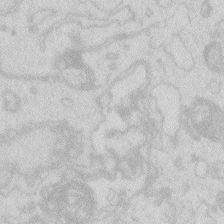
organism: Zebrafish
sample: Macrophage